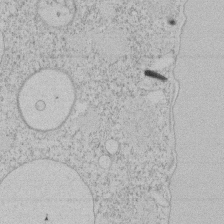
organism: Tetrahymena